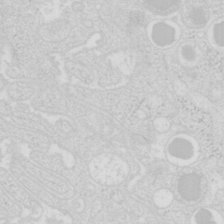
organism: Mouse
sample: Pancreas